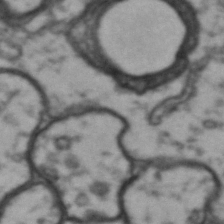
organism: Drosophila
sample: Brain